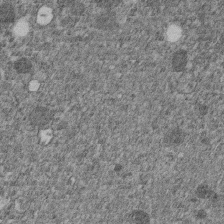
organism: C. elegans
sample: C. elegans embryo early stage